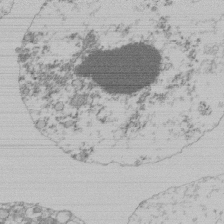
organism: Mouse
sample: Activated Pmel transgenic CD8+ T Cells